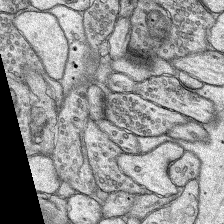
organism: Rat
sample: Hippocampus